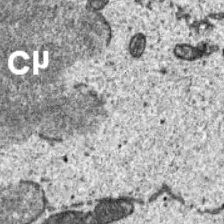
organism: Human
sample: HeLa cells